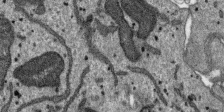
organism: Human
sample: Lung epithelial cells, uninfected (mock) control